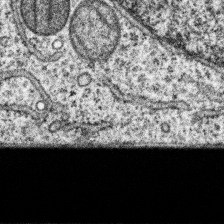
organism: Human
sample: HeLa cells